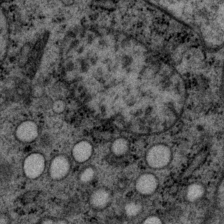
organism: P. pacificus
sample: Pharynx